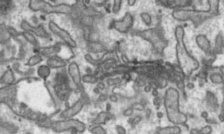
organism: Toxoplasma gondii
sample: Parasites in a vacuole inside a host cell